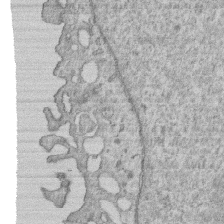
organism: Human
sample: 1205lu cells